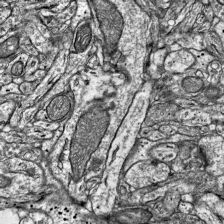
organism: Mouse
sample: Visual Cortex